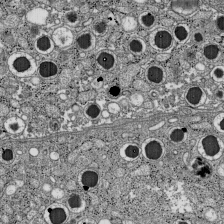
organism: C57BL Mouse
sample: Pancreatic islet